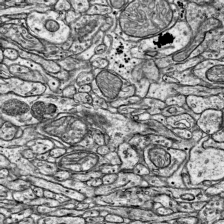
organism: Mouse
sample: Visual Cortex